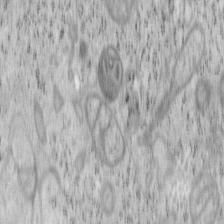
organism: Human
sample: HeLa cells